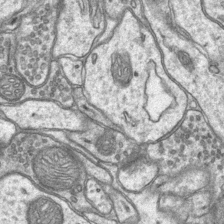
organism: Mouse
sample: CA1 Hippocampus